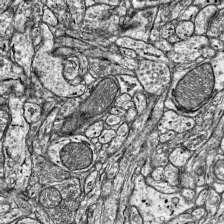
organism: Mouse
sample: Visual Cortex